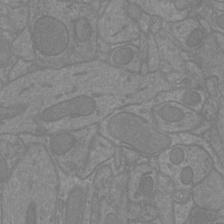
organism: Mouse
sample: Cortical neurons